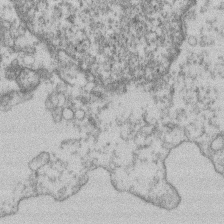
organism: Mouse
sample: T cell stromal cell synapse